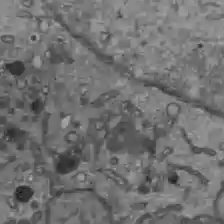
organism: C57BL Mouse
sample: Liver